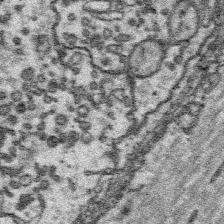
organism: Platynereis dumerilii